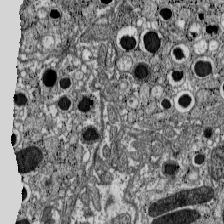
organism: C57BL Mouse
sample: Pancreatic islet